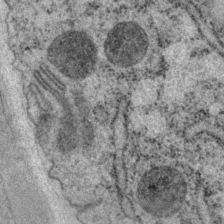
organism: P. pacificus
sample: Pharynx